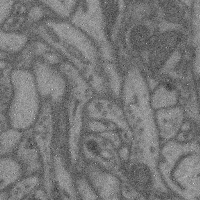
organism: Mouse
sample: Cerebral cortex